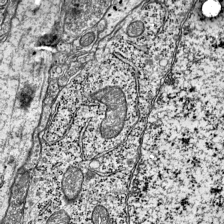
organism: Mouse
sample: Visual Cortex